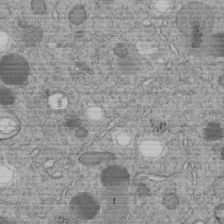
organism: C. elegans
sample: C. elegans embryo early stage